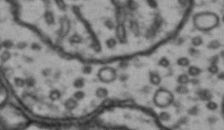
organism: Drosophila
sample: Brain